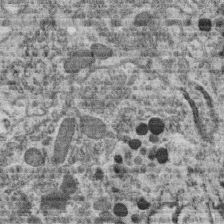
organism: C. elegans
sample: C. elegans oocyte; sperm cells